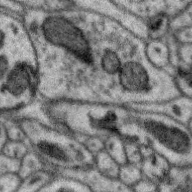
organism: Zebra finch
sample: Brain